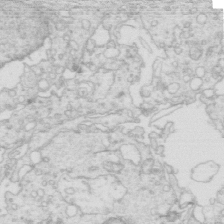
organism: Mouse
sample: Multiciliated cells